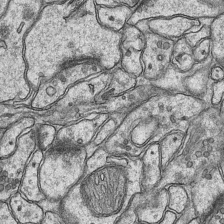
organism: Mouse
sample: CA1 Hippocampus